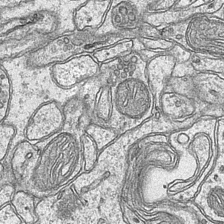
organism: Mouse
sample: CA1 Hippocampus